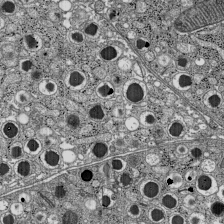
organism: C57BL Mouse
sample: Pancreatic islet